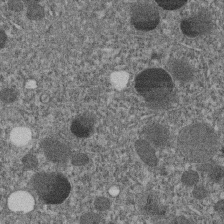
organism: C. elegans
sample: C. elegans embryo early stage